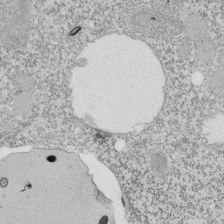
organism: Tetrahymena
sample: Cilia in tetrahymena